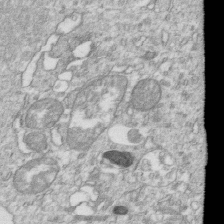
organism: Mouse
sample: Activated OT-1 CD8+ T cells